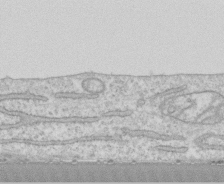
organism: Human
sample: CRL-1474